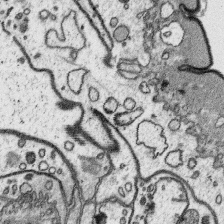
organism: Platynereis dumerilii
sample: Parapodia